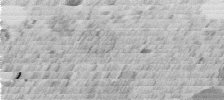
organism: C. elegans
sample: C. elegans embryo early stage